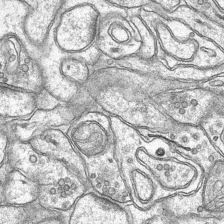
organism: Mouse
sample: CA1 Hippocampus